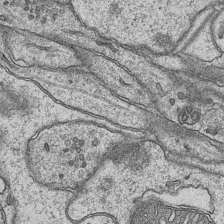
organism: Mouse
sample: CA1 Hippocampus